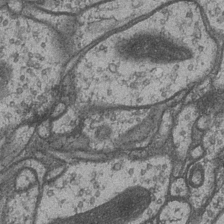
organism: Drosophila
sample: Optic medulla